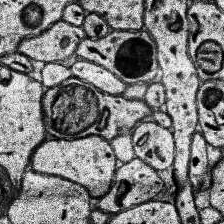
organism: Human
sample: Temporal Lobe